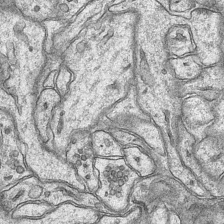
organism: Mouse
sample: CA1 Hippocampus